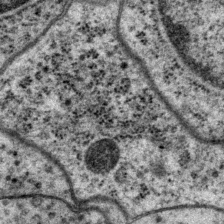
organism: P. pacificus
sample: Pharynx